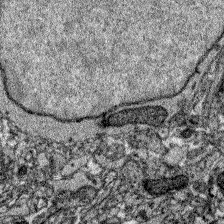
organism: Zebrafish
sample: Larval olfactory bulb